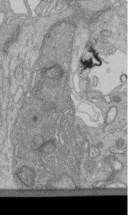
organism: Human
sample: Retinal organoid Rod and Cone cells